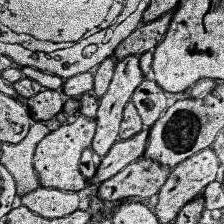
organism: Human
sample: Temporal Lobe